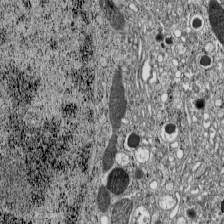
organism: C57BL Mouse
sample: Pancreatic islet